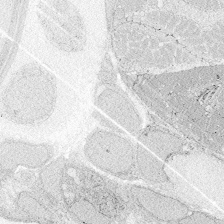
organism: Zebrafish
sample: Whole-Brain